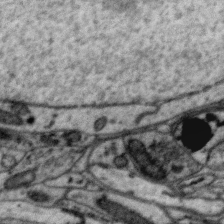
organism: Zebra finch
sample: Brain